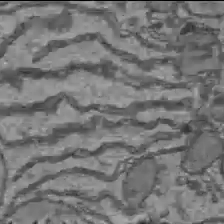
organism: C57BL Mouse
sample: Liver